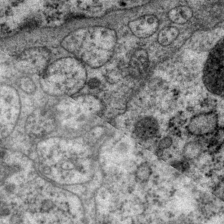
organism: P. pacificus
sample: Pharynx